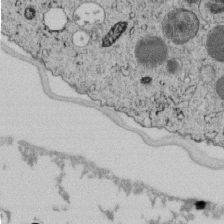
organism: C. elegans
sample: C. elegans embryo early stage